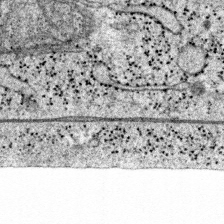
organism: Human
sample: HeLa cells